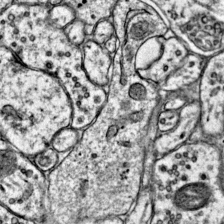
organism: Mouse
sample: Primary visual cortex